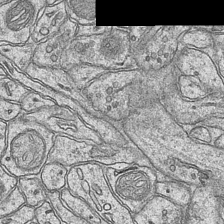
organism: Mouse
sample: CA1 Hippocampus